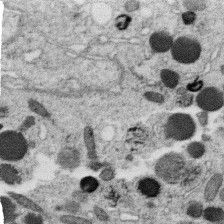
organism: C. elegans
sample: C. elegans oocyte; sperm cells